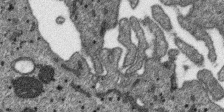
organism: Human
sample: Lung epithelial cells infected with SARS-CoV-2